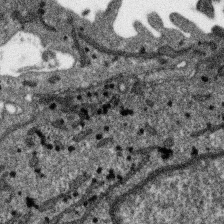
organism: Human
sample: Lung epithelial cells infected with SARS-CoV-2